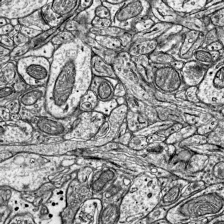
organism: Mouse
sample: Visual Cortex